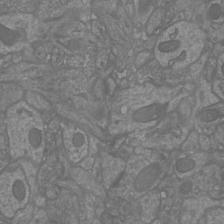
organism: Mouse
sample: Cortical neurons